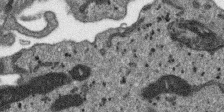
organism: Human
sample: Lung epithelial cells infected with SARS-CoV-2